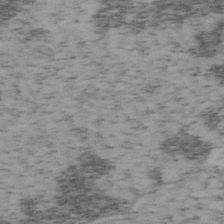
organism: Mouse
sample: OT-I killer T cells with ID8 ovarian cancer cells